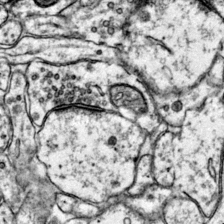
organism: Mouse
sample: Primary visual cortex